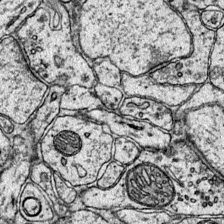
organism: Mouse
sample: Primary visual cortex